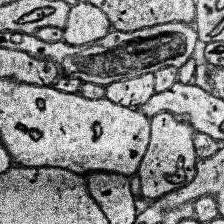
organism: Human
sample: Temporal Lobe